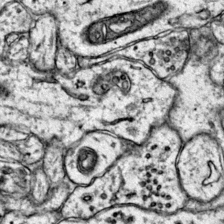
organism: Mouse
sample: Primary visual cortex